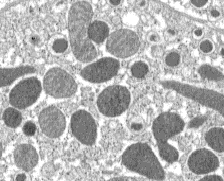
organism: C57BL Mouse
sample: Pancreatic islet